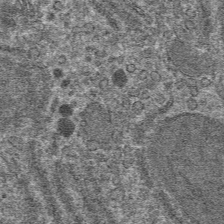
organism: Mouse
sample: Mouse hepatocytes